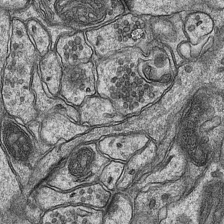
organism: Mouse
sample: CA1 Hippocampus